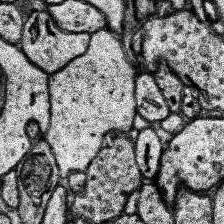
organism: Human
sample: Temporal Lobe